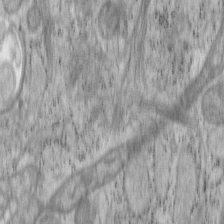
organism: Human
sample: HeLa cells